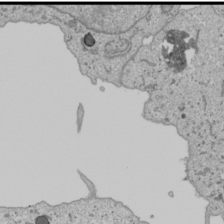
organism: Human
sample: Mitochondria in U2OS cells